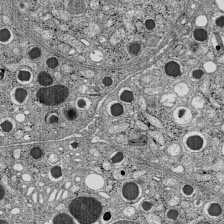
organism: C57BL Mouse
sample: Pancreatic islet